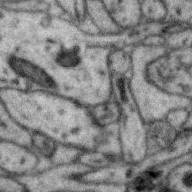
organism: Zebra finch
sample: Brain